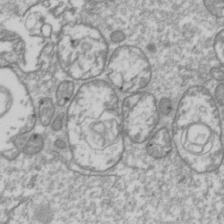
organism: Drosophila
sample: Cell division; meiosis; drosophila spermatocytes